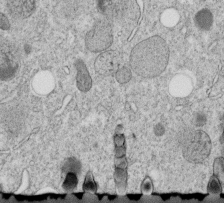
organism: C. elegans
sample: C. elegans embryo early stage